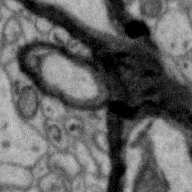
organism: Zebra finch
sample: Brain